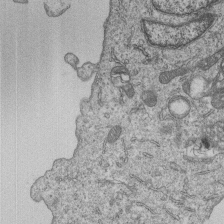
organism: Human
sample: MDA-MB-231 cells